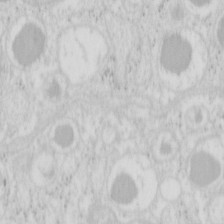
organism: Mouse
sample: Pancreas